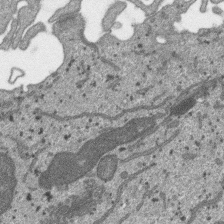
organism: Human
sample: Lung epithelial cells infected with SARS-CoV-2